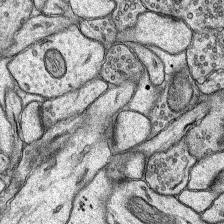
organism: Rat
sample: Hippocampus